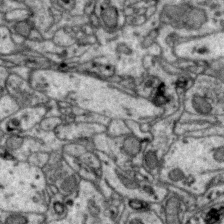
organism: Zebra finch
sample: Brain